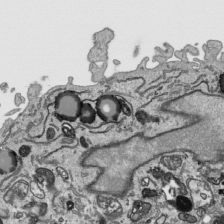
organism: Human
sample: Mitochondria in HCT116 cells